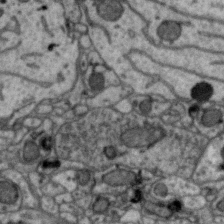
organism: Zebra finch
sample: Brain